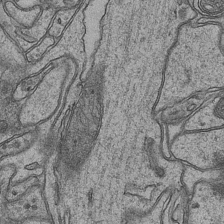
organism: Mouse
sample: CA1 Hippocampus